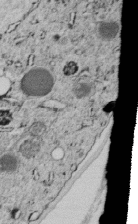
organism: C. elegans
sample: C. elegans embryo early stage